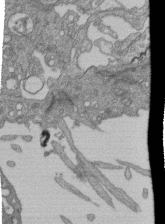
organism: Human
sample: Retinal organoid Rod and Cone cells